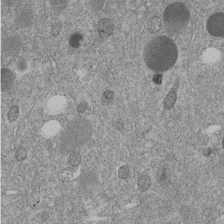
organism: C. elegans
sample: C. elegans embryo early stage